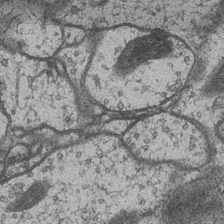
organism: Drosophila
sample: Optic medulla